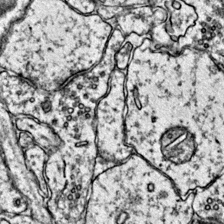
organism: Mouse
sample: Primary visual cortex